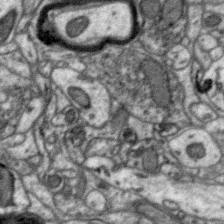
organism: Zebra finch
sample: Brain